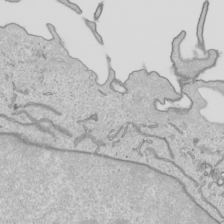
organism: Human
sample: Mitochondria in HCT116 cells